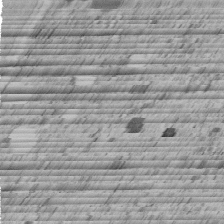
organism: C. elegans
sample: C. elegans embryo early stage